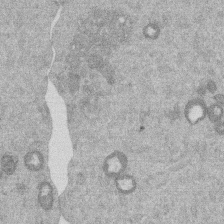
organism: Mouse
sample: Dividing mouse embryo 1 cell stage